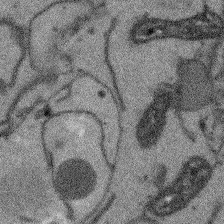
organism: Arabidopsis thaliana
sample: Root tip